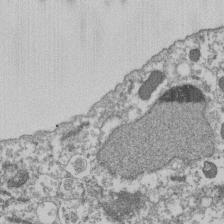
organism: Dictyostelium discoideum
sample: Dictyostelium multivesicular bodies